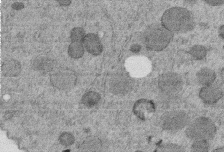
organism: C. elegans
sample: C. elegans embryo early stage